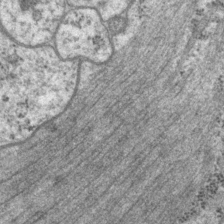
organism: P. pacificus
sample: Pharynx